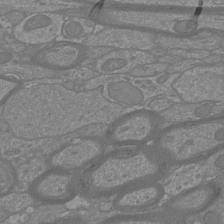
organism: Mouse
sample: Cortical neurons